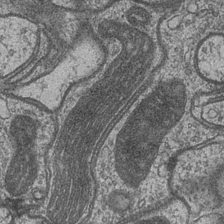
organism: Drosophila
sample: Optic medulla